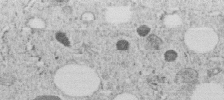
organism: C. elegans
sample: C. elegans embryo early stage